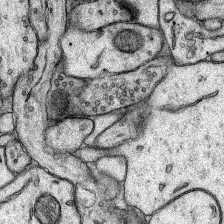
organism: Rat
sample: Hippocampus